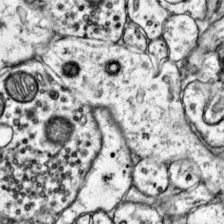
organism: Mouse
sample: Primary visual cortex